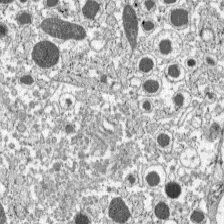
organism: C57BL Mouse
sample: Pancreatic islet